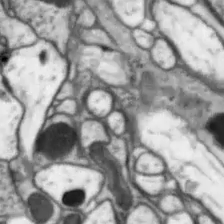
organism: Drosophila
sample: Optic lobe